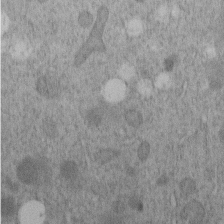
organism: C. elegans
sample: C. elegans embryo early stage